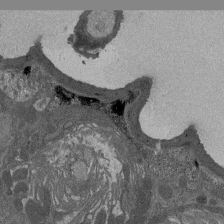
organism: Drosophila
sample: Antenna